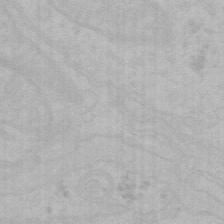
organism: Mouse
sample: Choroid plexus